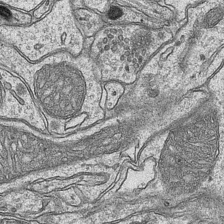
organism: Mouse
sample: CA1 Hippocampus